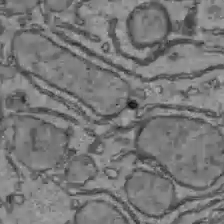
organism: C57BL Mouse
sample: Liver